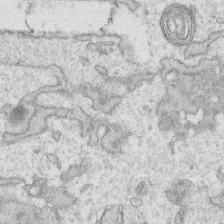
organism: Human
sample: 1205lu cells